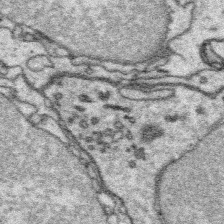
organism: Platynereis dumerilii